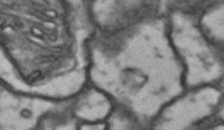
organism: Drosophila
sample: Brain